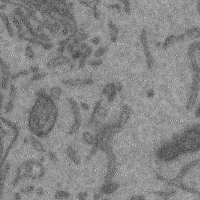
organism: Mouse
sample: Cerebral cortex